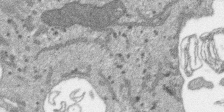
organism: Human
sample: Lung epithelial cells infected with SARS-CoV-2